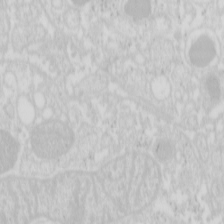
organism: Mouse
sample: Pancreas